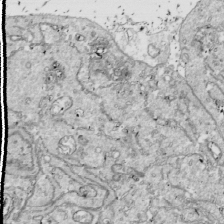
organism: Drosophila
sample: Cell division; meiosis; drosophila spermatocytes